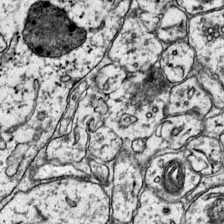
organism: Mouse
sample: Primary visual cortex